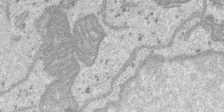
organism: Human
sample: Lung epithelial cells infected with SARS-CoV-2